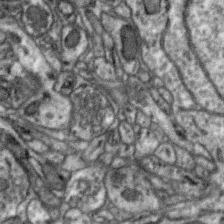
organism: Zebra finch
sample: Brain